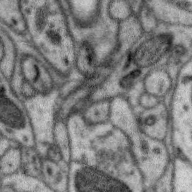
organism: Zebra finch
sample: Brain